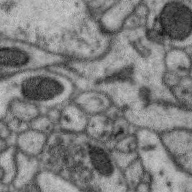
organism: Zebra finch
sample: Brain